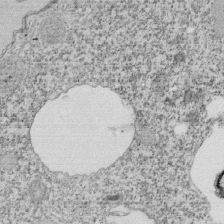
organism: Tetrahymena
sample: Cilia in tetrahymena